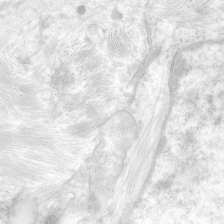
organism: Human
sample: Neocortex